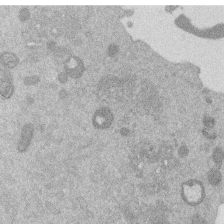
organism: Mouse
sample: Dividing mouse embryo 1 cell stage